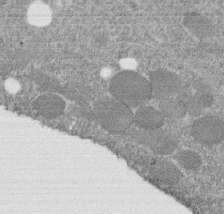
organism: C. elegans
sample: C. elegans embryo early stage